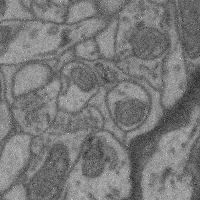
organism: Mouse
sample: Cerebral cortex